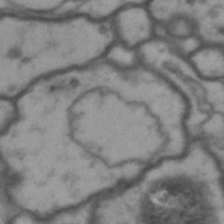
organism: Drosophila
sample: Brain